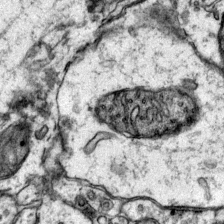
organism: Mouse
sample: Primary visual cortex